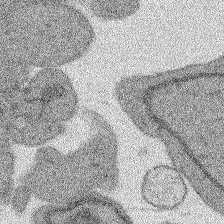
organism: Human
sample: HeLa cells